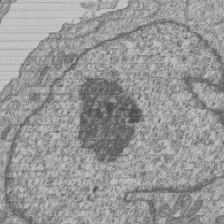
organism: Human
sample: MDA-MB-231 cells